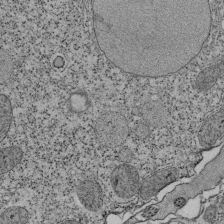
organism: Tetrahymena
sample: Cilia in tetrahymena